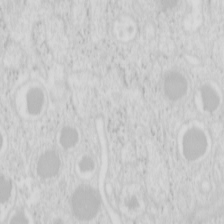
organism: Mouse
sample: Pancreas